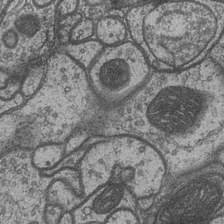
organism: Drosophila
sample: Optic medulla